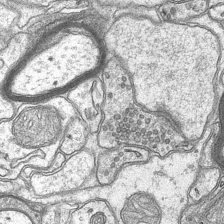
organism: Mouse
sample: CA1 Hippocampus